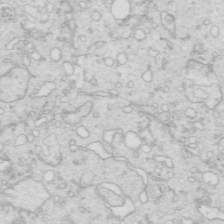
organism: Mouse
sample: Multiciliated cells